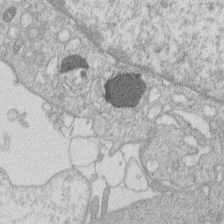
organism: Human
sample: Macrophage cells